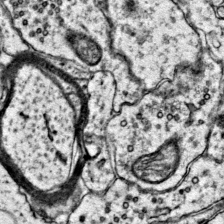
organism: Mouse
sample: Primary visual cortex